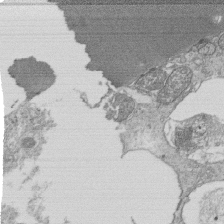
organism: Tetrahymena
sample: Cilia in tetrahymena